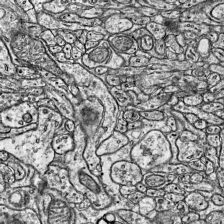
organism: Mouse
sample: Visual Cortex